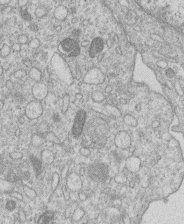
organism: Human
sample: Macrophage cells